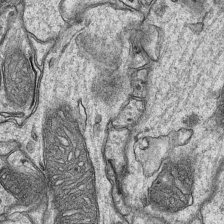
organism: Mouse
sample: CA1 Hippocampus